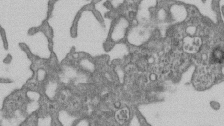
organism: Mouse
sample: Centriole in ependymal cells